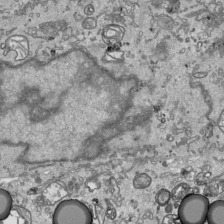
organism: Human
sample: Mitochondria in HCT116 cells